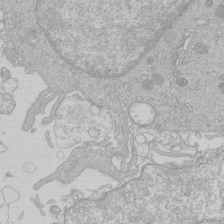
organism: Human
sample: Macrophage cells